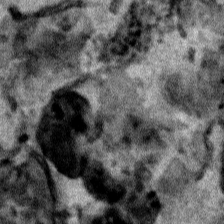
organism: Human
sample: Mitochondria in HCT116 cells